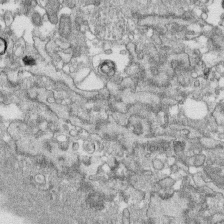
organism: Human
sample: CRL-1474